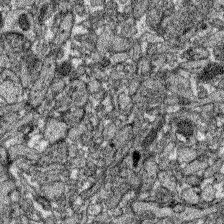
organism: Zebrafish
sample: Larval olfactory bulb